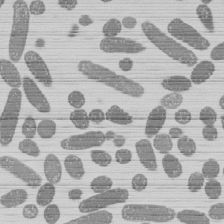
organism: E. coli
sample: Bacterial nucleoid